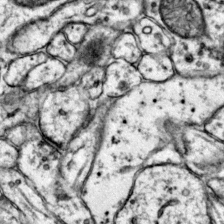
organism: Mouse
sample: Primary visual cortex